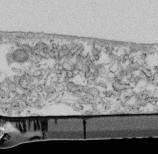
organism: Mouse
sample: Cilia; retinal pigment epithelium